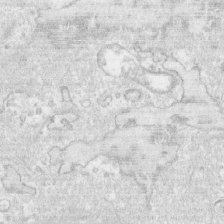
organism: Human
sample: CRL-1474